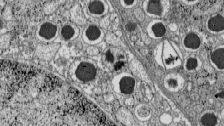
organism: C57BL Mouse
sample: Pancreatic islet